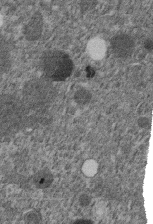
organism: C. elegans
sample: C. elegans embryo early stage